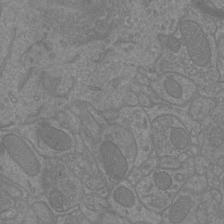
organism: Mouse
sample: Cortical neurons